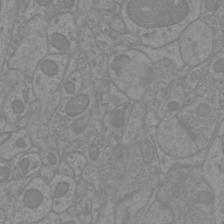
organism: Mouse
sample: Cortical neurons